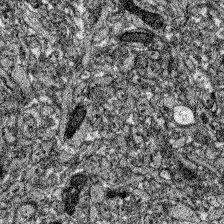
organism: Zebrafish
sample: Larval olfactory bulb